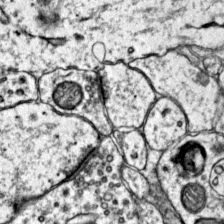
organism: Mouse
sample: Primary visual cortex